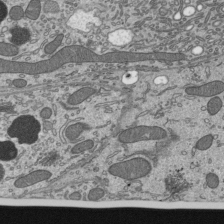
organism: Mouse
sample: Mouse epididymis efferent ductule cilia